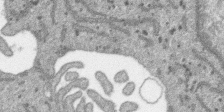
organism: Human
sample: Lung epithelial cells infected with SARS-CoV-2